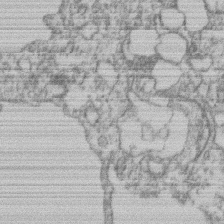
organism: Mouse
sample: T cell stromal cell synapse